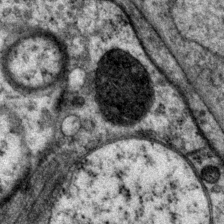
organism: P. pacificus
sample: Pharynx